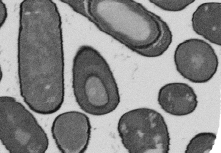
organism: B. subtilis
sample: Bacterial spore